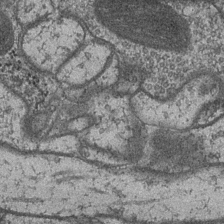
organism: Drosophila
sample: Optic medulla